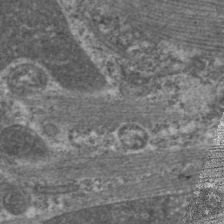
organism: C. elegans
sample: Pharynx